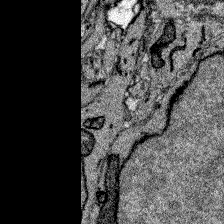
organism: Zebrafish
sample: Larval olfactory bulb